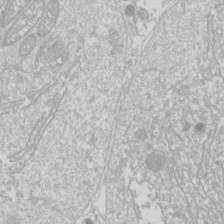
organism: Drosophila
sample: Cell division; meiosis; drosophila spermatocytes